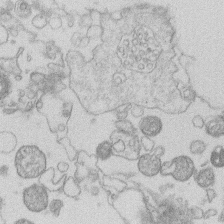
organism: Human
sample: Macrophage cells